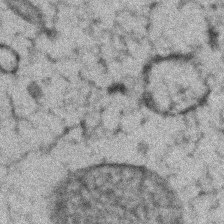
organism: Zebrafish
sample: Zebrafish embryo